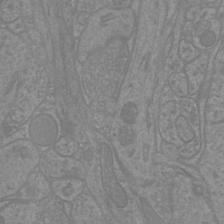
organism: Mouse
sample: Cortical neurons